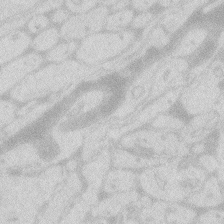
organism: Zebrafish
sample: Macrophage